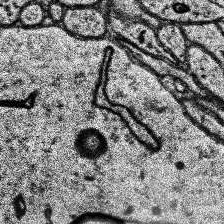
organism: Human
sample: Temporal Lobe